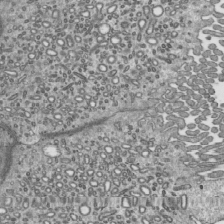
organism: Mouse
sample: Mouse epididymis efferent ductule cilia